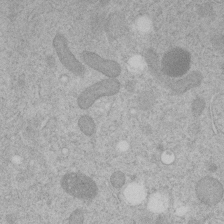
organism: C. elegans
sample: C. elegans embryo early stage